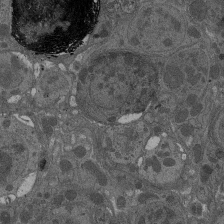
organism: Drosophila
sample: Antenna